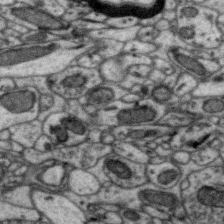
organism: Zebra finch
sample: Brain